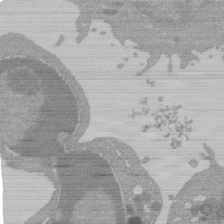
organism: Mouse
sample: Activated Pmel transgenic CD8+ T Cells